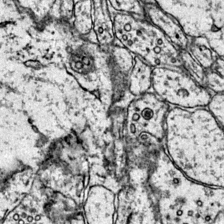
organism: Mouse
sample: Primary visual cortex